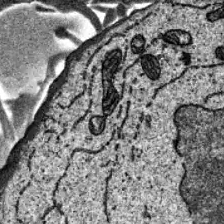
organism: Human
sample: HeLa cells